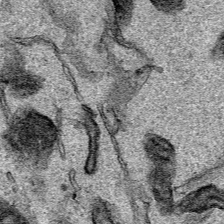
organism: Human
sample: Mitochondria in HCT116 cells